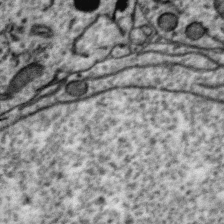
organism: Zebra finch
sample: Brain